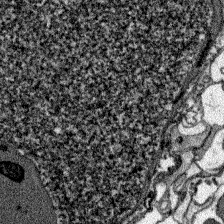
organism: Zebrafish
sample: Larval olfactory bulb